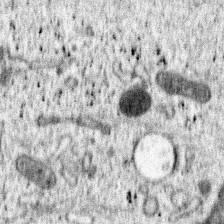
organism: Human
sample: HeLa cells